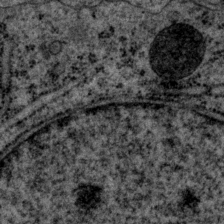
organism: P. pacificus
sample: Pharynx